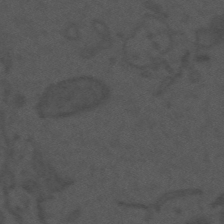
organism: Mouse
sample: Suprachiasmatic nucleus